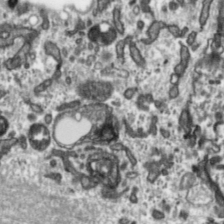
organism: Toxoplasma gondii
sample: Parasites in a vacuole inside a host cell